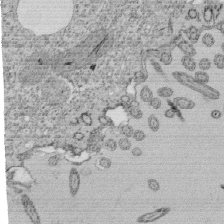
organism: Tetrahymena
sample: Cilia in tetrahymena